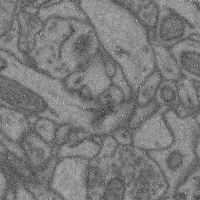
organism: Mouse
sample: Cerebral cortex